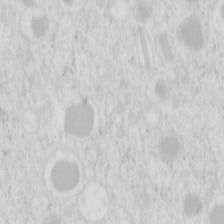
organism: Mouse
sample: Pancreas